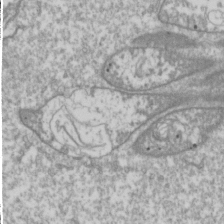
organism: Drosophila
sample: Cell division; meiosis; drosophila spermatocytes